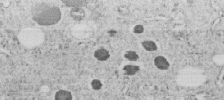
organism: C. elegans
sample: C. elegans embryo early stage